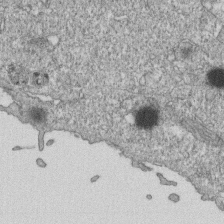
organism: Human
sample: HeLa cell HIV synapse